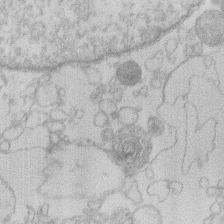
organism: Human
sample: Macrophage cells